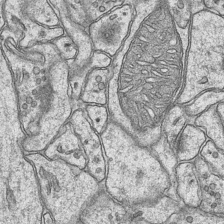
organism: Mouse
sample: CA1 Hippocampus